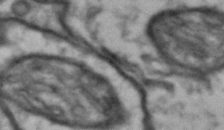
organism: Drosophila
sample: Brain